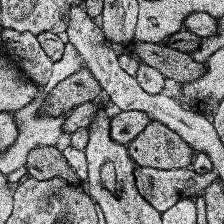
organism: Human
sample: Temporal Lobe